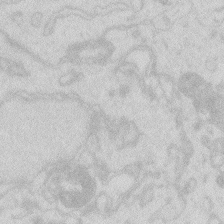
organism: Zebrafish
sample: Macrophage